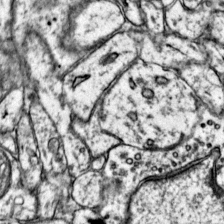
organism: Mouse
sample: Primary visual cortex